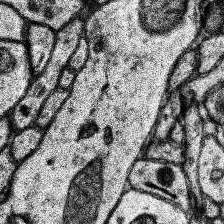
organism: Human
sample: Temporal Lobe